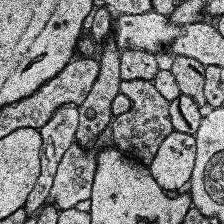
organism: Human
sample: Temporal Lobe